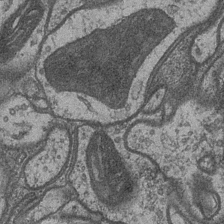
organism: Drosophila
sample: Optic medulla